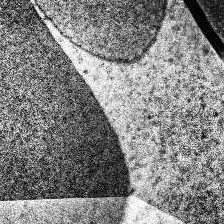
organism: Human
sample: Temporal Lobe